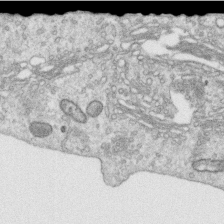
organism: Human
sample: Centriole in RPE cells